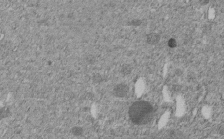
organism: C. elegans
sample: C. elegans embryo early stage